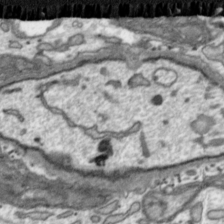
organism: Toxoplasma gondii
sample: Parasites in a vacuole inside a host cell